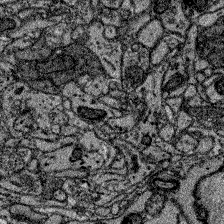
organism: Zebrafish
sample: Larval olfactory bulb